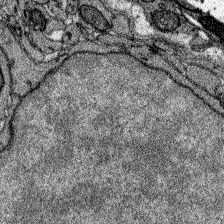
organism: Zebrafish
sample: Larval olfactory bulb